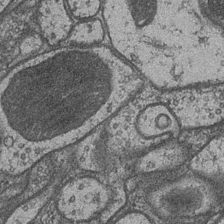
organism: Drosophila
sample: Optic medulla